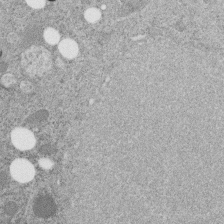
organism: C. elegans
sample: C. elegans embryo early stage